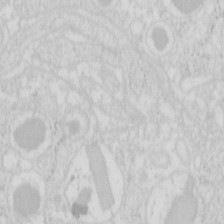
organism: Mouse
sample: Pancreas